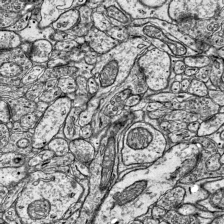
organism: Mouse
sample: Visual Cortex